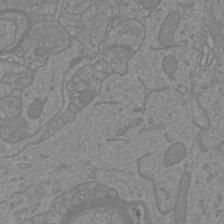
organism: Mouse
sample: Cortical neurons